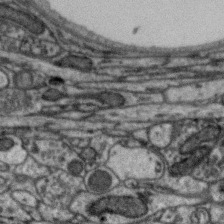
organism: Zebra finch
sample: Brain